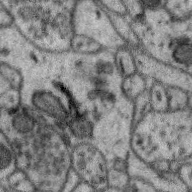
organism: Zebra finch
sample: Brain